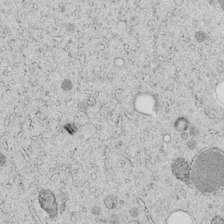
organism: C. elegans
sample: C. elegans embryo early stage